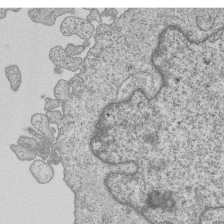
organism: Human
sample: MDA-MB-231 cells